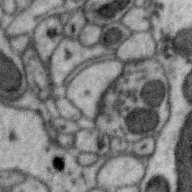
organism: Zebra finch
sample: Brain